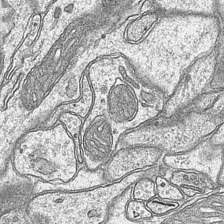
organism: Mouse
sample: CA1 Hippocampus